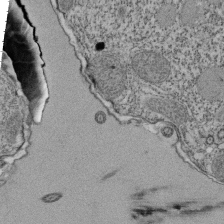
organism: Tetrahymena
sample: Cilia in tetrahymena